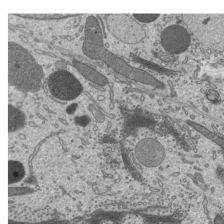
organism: Mouse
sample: Mouse epididymis efferent ductule cilia